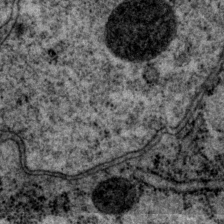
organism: P. pacificus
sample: Pharynx